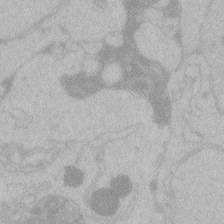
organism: Zebrafish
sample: Macrophage infected with Toxoplasma gondii